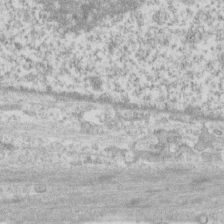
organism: Human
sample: CRL-1474